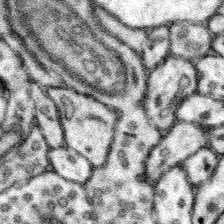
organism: Mouse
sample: Somatosensory cortex neuropil